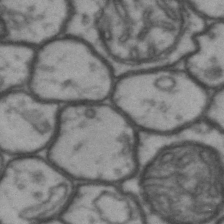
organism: Drosophila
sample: Brain